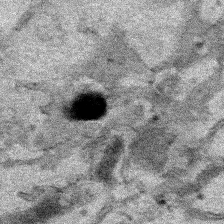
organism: Human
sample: Mitochondria in HCT116 cells